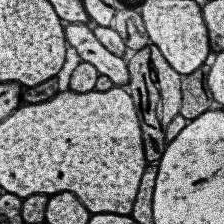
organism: Human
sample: Temporal Lobe